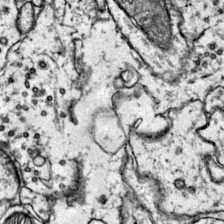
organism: Mouse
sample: Primary visual cortex